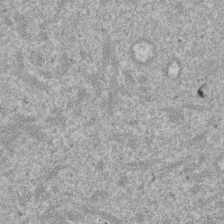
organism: Mouse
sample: Dividing mouse embryo 1 cell stage